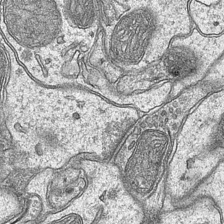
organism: Mouse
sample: CA1 Hippocampus